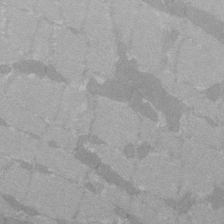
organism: C57BL Mouse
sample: Tibialis anterior muscle cell